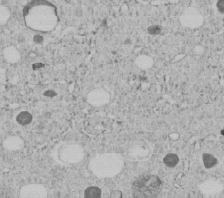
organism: C. elegans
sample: C. elegans embryo early stage